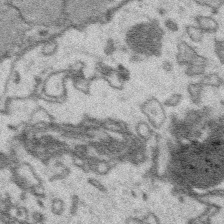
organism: Platynereis dumerilii